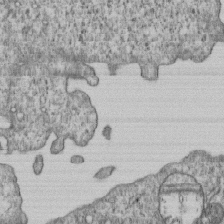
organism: Human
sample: MDA-MB-231 cells